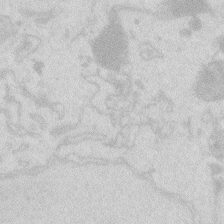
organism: Zebrafish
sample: Macrophage